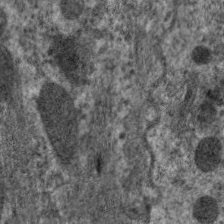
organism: C. elegans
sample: Pharynx